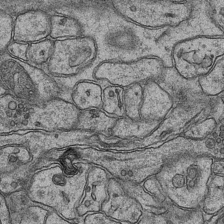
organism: Mouse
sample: CA1 Hippocampus